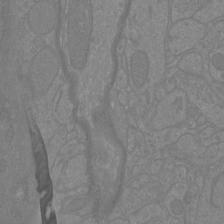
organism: Mouse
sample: Cortical neurons